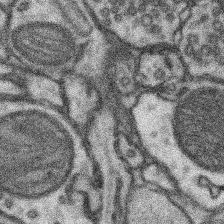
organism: Mouse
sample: Somatosensory cortex neuropil